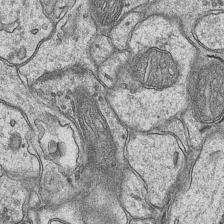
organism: Mouse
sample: CA1 Hippocampus